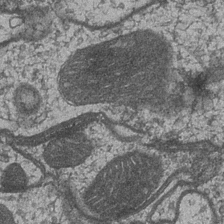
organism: Drosophila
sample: Optic medulla